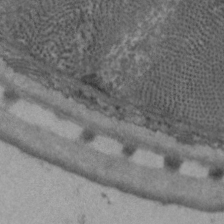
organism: C. elegans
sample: Pharynx